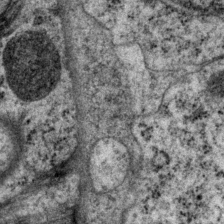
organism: P. pacificus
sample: Pharynx